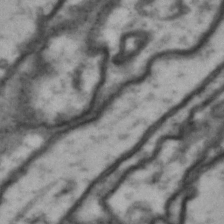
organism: Drosophila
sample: Brain